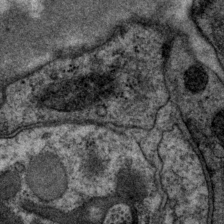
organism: P. pacificus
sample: Pharynx